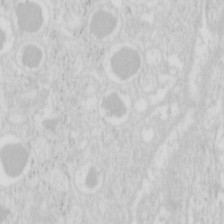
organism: Mouse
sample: Pancreas